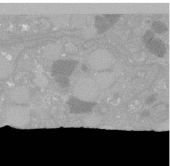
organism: C. elegans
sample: C. elegans oocyte; sperm cells